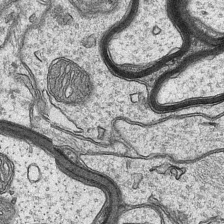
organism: Mouse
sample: CA1 Hippocampus